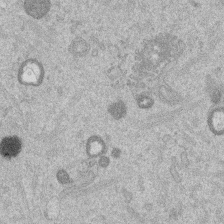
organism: Mouse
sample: Dividing mouse embryo 1 cell stage